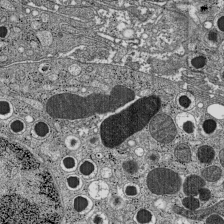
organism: C57BL Mouse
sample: Pancreatic islet